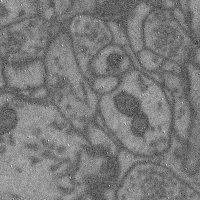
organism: Mouse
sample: Cerebral cortex